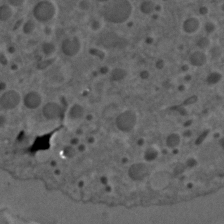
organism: C. elegans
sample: C. elegans embryo